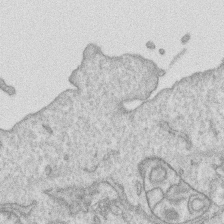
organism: Human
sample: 1205lu cells